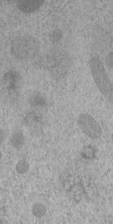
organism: C. elegans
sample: C. elegans embryo early stage